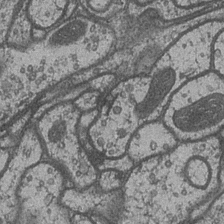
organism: Drosophila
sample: Optic medulla